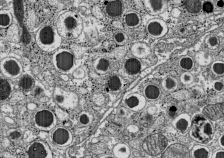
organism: C57BL Mouse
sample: Pancreatic islet